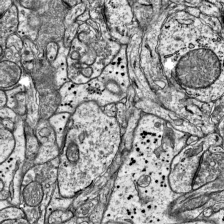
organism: Mouse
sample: Visual Cortex